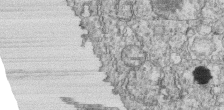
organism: Human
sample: HeLa cell HIV synapse